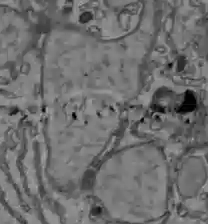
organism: C57BL Mouse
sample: Liver